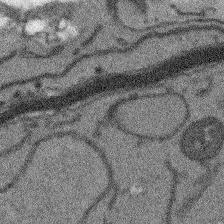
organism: Arabidopsis thaliana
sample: Root tip